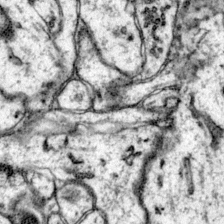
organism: Mouse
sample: Primary visual cortex